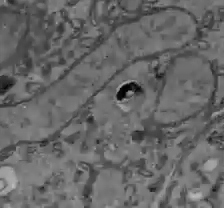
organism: C57BL Mouse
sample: Liver